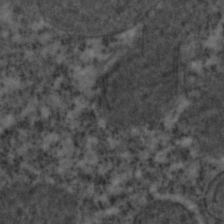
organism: C. elegans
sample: C. elegans embryo